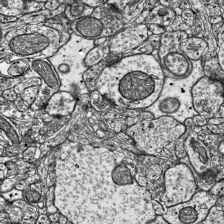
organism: Mouse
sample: Visual Cortex